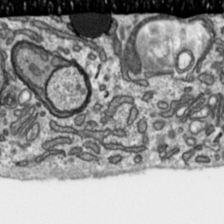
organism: Toxoplasma gondii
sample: Parasites in a vacuole inside a host cell